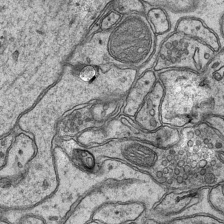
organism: Mouse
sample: CA1 Hippocampus